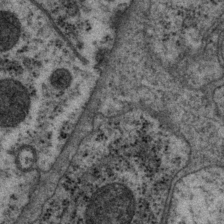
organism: P. pacificus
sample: Pharynx